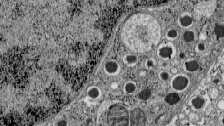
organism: C57BL Mouse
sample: Pancreatic islet